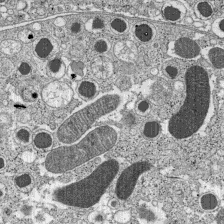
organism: C57BL Mouse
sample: Pancreatic islet